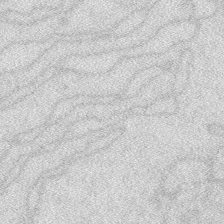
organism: Zebrafish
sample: Macrophage